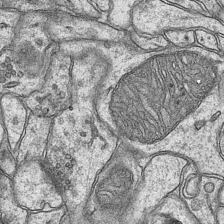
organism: Mouse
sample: CA1 Hippocampus